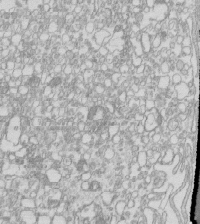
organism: Mouse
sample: Macrophages